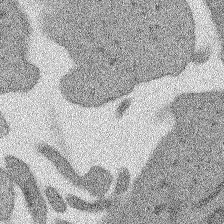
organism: Human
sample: HeLa cells